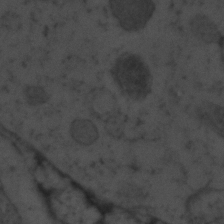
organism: Zebrafish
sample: Zebrafish embryo